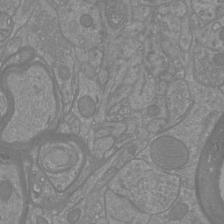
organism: Mouse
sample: Cortical neurons